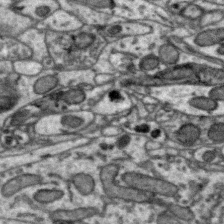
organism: Zebra finch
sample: Brain